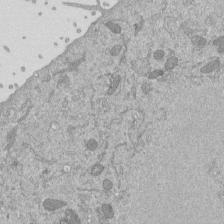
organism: Mouse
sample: ED-1 cell nuclei; centrioles